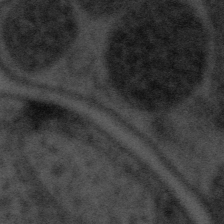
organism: Tuwongella immobilis